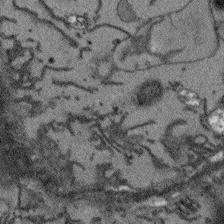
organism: Arabidopsis thaliana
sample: Root tip